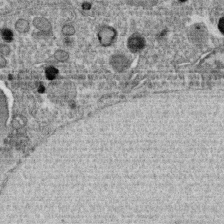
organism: C. elegans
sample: C. elegans oocyte; sperm cells